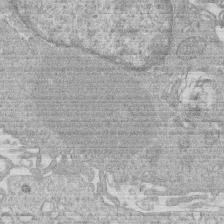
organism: Human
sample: Macrophage cells